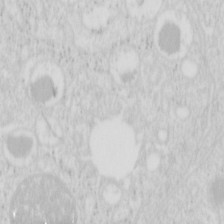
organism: Mouse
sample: Pancreas